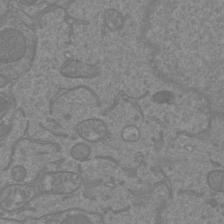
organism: Mouse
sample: Cortical neurons